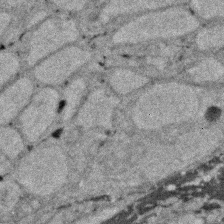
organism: Zebrafish